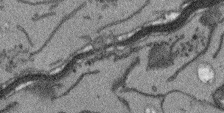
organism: Arabidopsis thaliana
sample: Root tip